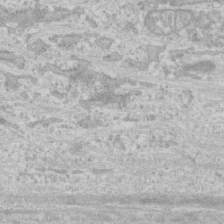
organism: Human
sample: CRL-1474